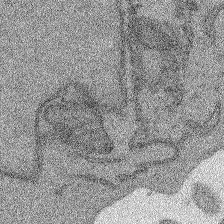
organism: Human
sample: HeLa cells